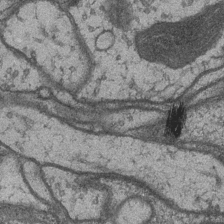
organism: Drosophila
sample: Optic medulla